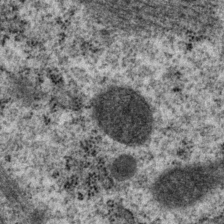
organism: P. pacificus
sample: Pharynx